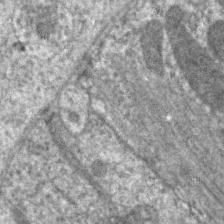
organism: C. elegans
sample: Pharynx